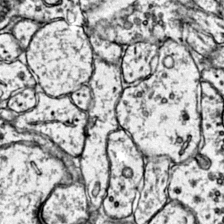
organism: Mouse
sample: Primary visual cortex